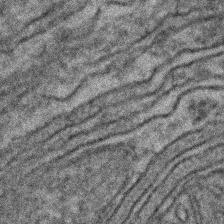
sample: Kidney